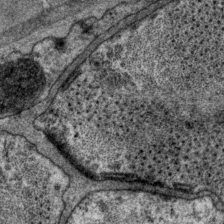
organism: P. pacificus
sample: Pharynx